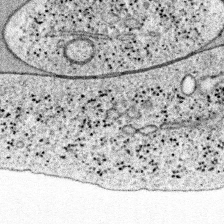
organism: Human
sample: HeLa cells